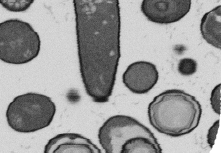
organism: B. subtilis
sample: Bacterial spore